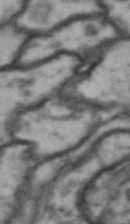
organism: Drosophila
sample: Brain